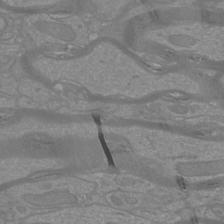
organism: Mouse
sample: Cortical neurons